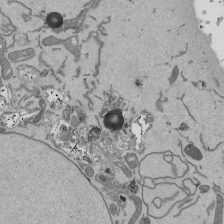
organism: Mouse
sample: ED-1 cell nuclei; centrioles